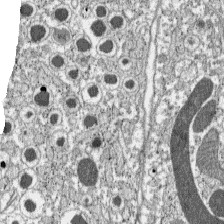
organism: C57BL Mouse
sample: Pancreatic islet